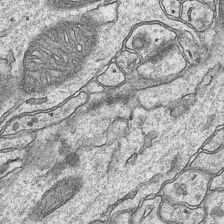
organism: Mouse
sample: CA1 Hippocampus